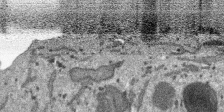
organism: Human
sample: Lung epithelial cells infected with SARS-CoV-2